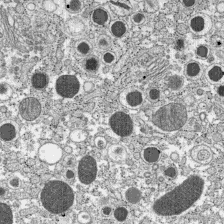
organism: C57BL Mouse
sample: Pancreatic islet